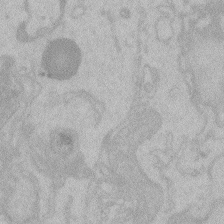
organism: Zebrafish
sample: Macrophage infected with Toxoplasma gondii